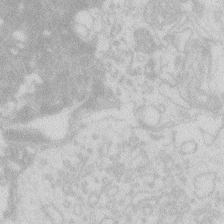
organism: Zebrafish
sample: Macrophage